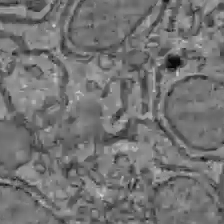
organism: C57BL Mouse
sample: Liver